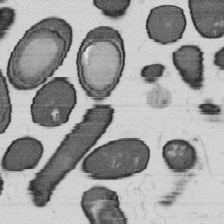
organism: B. subtilis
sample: Bacterial spore